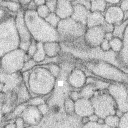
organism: Rabbit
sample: Retina